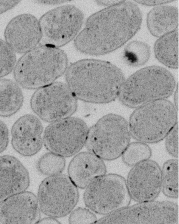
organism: E. coli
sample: Bacterial nucleoid